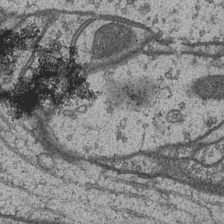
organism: Drosophila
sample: Optic medulla